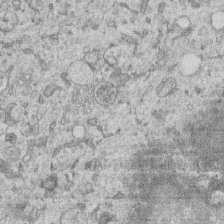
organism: Human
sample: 1205lu cells